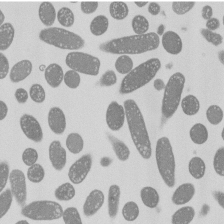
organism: E. coli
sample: Bacterial nucleoid